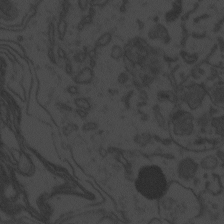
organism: Zebrafish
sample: Macrophage infected with Toxoplasma gondii